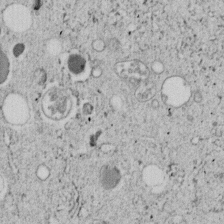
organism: C. elegans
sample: C. elegans embryo early stage